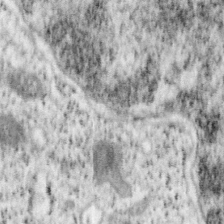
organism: Mouse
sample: OT-I killer T cells with ID8 ovarian cancer cells